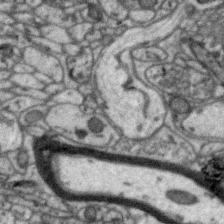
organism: Zebra finch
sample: Brain